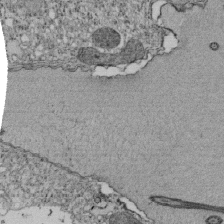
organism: Tetrahymena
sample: Cilia in tetrahymena